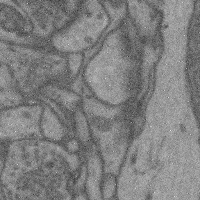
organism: Mouse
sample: Cerebral cortex